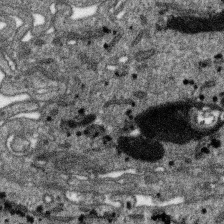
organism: Human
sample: Lung epithelial cells infected with SARS-CoV-2